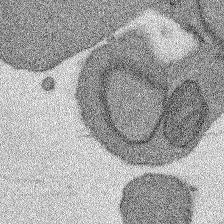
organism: Human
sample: HeLa cells